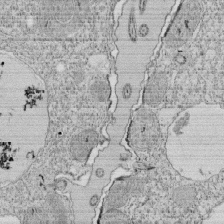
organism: Tetrahymena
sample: Cilia in tetrahymena